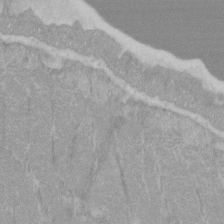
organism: C57BL Mouse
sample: Tibialis anterior muscle cell